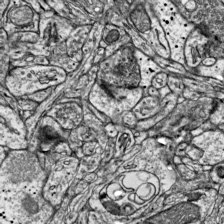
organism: Mouse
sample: Visual Cortex